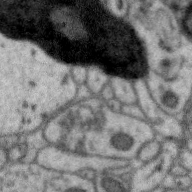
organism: Zebra finch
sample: Brain